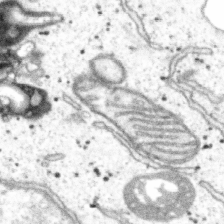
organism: Human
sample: HeLa cells